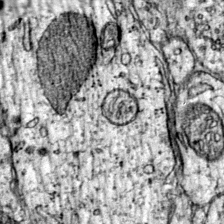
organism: Mouse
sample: Primary visual cortex